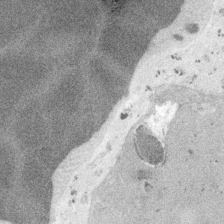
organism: Embia sp.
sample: Silk gland